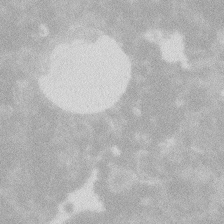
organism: Zebrafish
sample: Macrophage